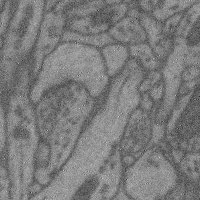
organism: Mouse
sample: Cerebral cortex